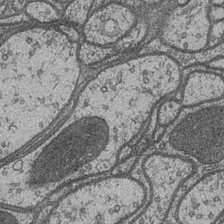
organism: Drosophila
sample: Optic medulla